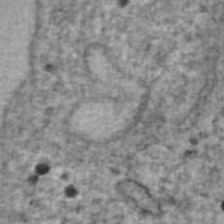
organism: Human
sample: Blood